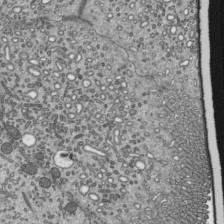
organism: Mouse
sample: Mouse epididymis efferent ductule cilia